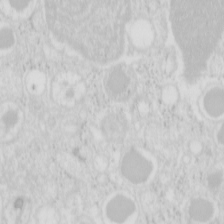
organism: Mouse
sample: Pancreas